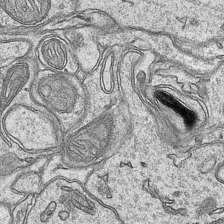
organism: Mouse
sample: CA1 Hippocampus